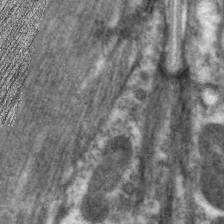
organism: C. elegans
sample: Pharynx